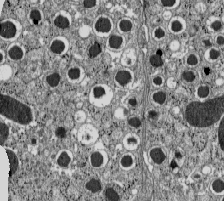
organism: C57BL Mouse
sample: Pancreatic islet